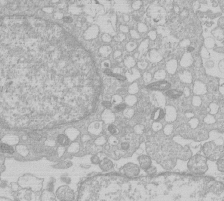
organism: Human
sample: Macrophage cells